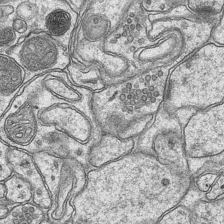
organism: Mouse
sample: CA1 Hippocampus